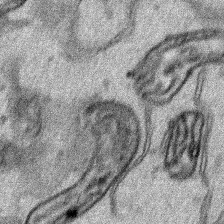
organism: Human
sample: Mitochondria in HCT116 cells